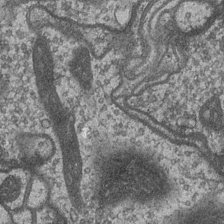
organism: Drosophila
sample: Optic medulla